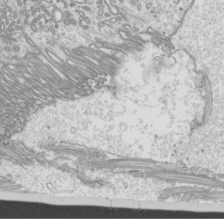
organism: Mouse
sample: Cilia; mouse epididymis